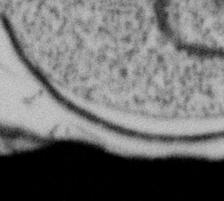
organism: Gemmata obscuriglobus